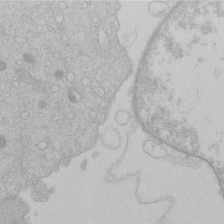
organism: Human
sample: Macrophage cells